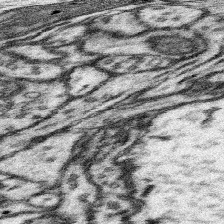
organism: Mouse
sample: Somatosensory cortex neuropil